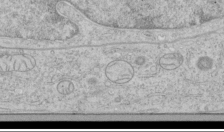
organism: Human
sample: Mitochondria in HCT116 cells